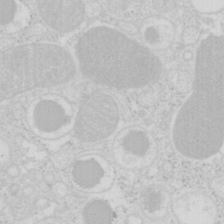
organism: Mouse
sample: Pancreas